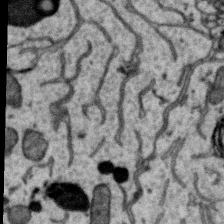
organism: Zebra finch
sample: Brain